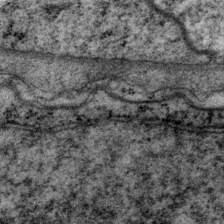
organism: P. pacificus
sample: Pharynx